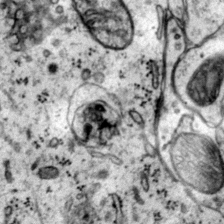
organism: Mouse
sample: Primary visual cortex